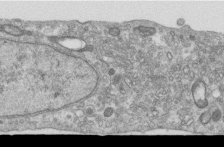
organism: Human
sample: Centriole in RPE cells